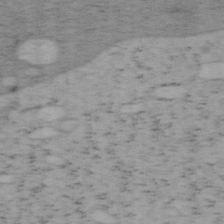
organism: Mouse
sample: OT-I killer T cells with ID8 ovarian cancer cells